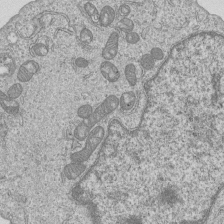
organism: Human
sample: MDA-MB-231 cells